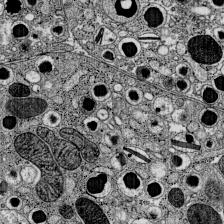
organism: C57BL Mouse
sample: Pancreatic islet